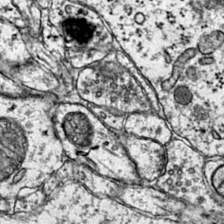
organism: Mouse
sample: Primary visual cortex